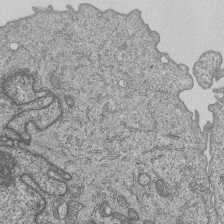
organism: Human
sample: MDA-MB-231 cells